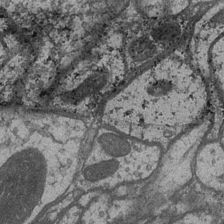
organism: Drosophila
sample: Optic medulla